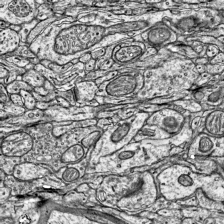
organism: Mouse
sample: Visual Cortex